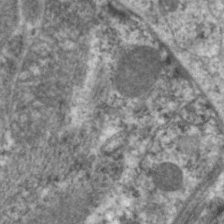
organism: C. elegans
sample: Pharynx